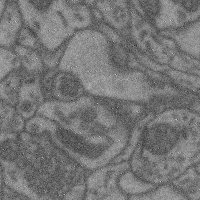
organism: Mouse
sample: Cerebral cortex